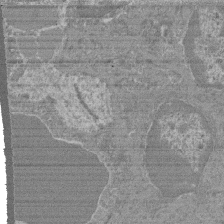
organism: Mouse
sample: Glomerulus